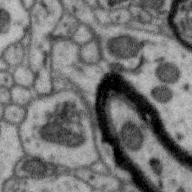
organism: Zebra finch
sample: Brain